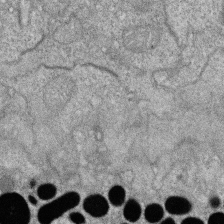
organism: Zebrafish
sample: Cilia; retinal pigment epithelium